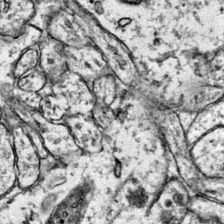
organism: Mouse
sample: Primary visual cortex